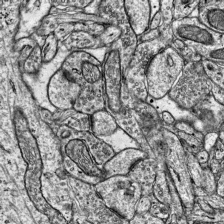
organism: Mouse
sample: Visual Cortex